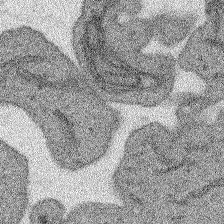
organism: Human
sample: HeLa cells